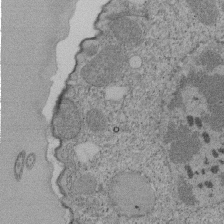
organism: Tetrahymena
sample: Cilia in tetrahymena